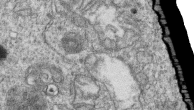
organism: Human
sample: HeLa cell HIV synapse